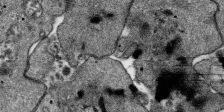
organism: Human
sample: Lung epithelial cells, uninfected (mock) control